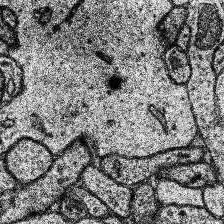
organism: Human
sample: Temporal Lobe